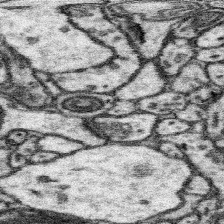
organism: Mouse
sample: Somatosensory cortex neuropil